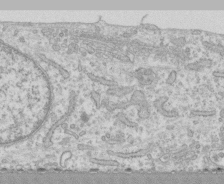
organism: Human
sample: CRL-1474